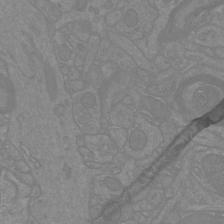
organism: Mouse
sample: Cortical neurons